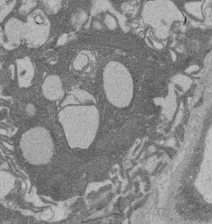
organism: Rat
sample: Salivary granule